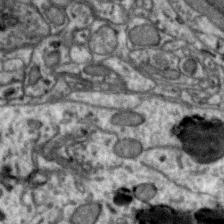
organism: Zebra finch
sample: Brain